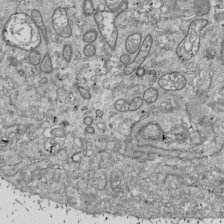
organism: Drosophila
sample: Cell division; meiosis; drosophila spermatocytes